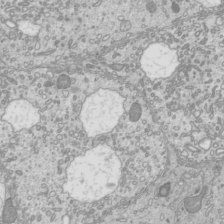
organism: Mouse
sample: Cilia; mouse epididymis